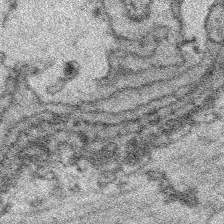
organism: Platynereis dumerilii